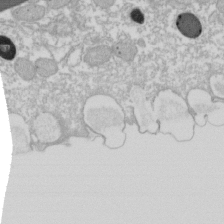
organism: Xenopus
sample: Cilia; centrioles in frog embryo cells